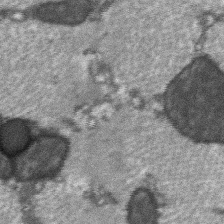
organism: C57BL Mouse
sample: Soleus